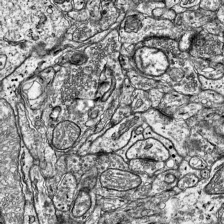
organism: Mouse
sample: Visual Cortex